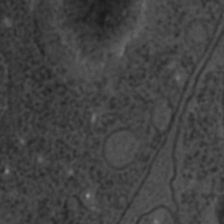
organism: C. elegans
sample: C. elegans embryo